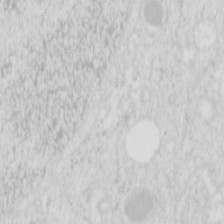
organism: Mouse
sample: Pancreas